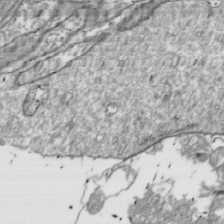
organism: Drosophila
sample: Cell division; meiosis; drosophila spermatocytes